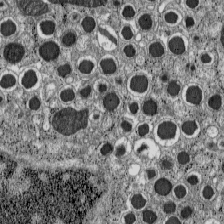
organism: C57BL Mouse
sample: Pancreatic islet